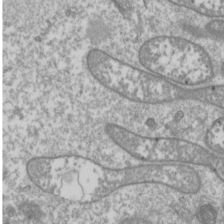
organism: Drosophila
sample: Cell division; meiosis; drosophila spermatocytes